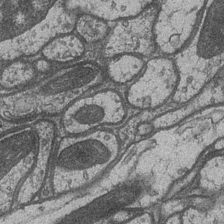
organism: Drosophila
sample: Optic medulla